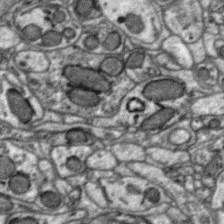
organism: Zebra finch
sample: Brain